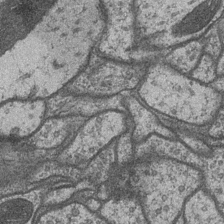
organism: Drosophila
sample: Optic medulla